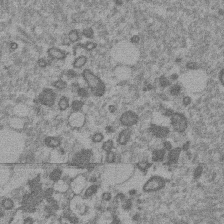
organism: Mouse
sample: Dividing mouse embryo 1 cell stage